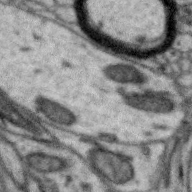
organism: Zebra finch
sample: Brain